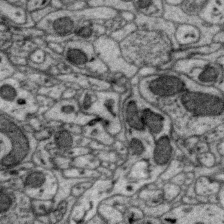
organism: Zebra finch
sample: Brain